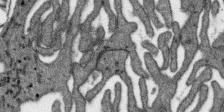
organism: Human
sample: Lung epithelial cells, uninfected (mock) control